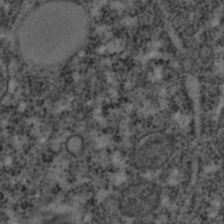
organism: C. elegans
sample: C. elegans embryo